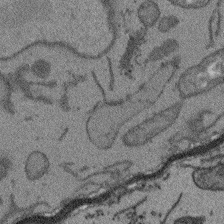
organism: Arabidopsis thaliana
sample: Root tip